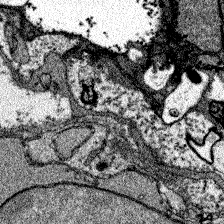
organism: Zebrafish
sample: Larval olfactory bulb